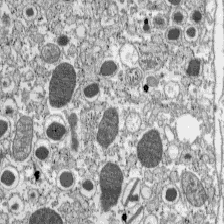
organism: C57BL Mouse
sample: Pancreatic islet